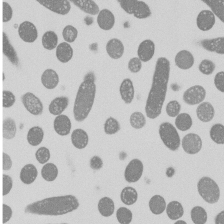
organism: E. coli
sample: Bacterial nucleoid